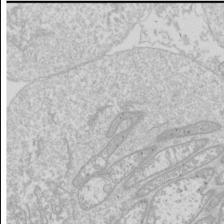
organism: Drosophila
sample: Cell division; meiosis; drosophila spermatocytes